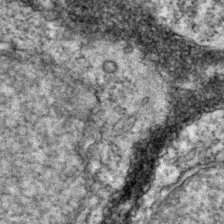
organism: Zebrafish